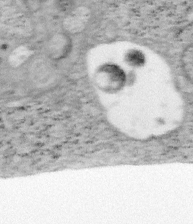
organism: Mouse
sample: OT-I killer T cells with ID8 ovarian cancer cells